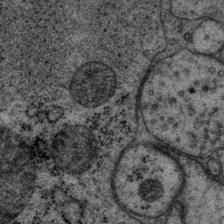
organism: P. pacificus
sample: Pharynx